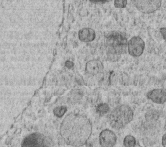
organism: C. elegans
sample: C. elegans embryo early stage